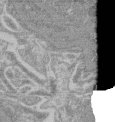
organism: Mouse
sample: Glomerulus